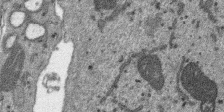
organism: Human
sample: Lung epithelial cells infected with SARS-CoV-2